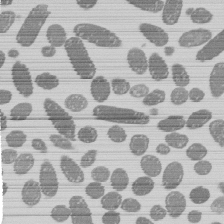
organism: E. coli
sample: Bacterial nucleoid